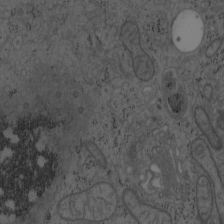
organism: Mouse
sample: OT-I killer T cells with ID8 ovarian cancer cells